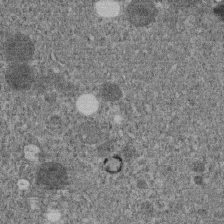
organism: C. elegans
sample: C. elegans embryo early stage